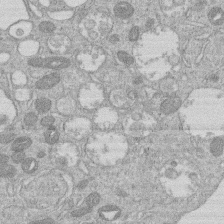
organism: Human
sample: Macrophage cells